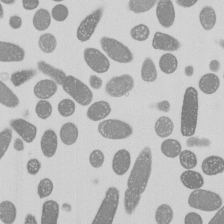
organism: E. coli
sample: Bacterial nucleoid